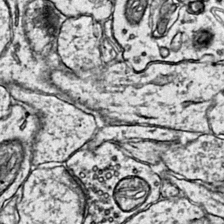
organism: Mouse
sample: Primary visual cortex